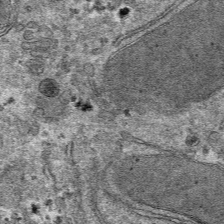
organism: Mouse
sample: Mouse hepatocytes